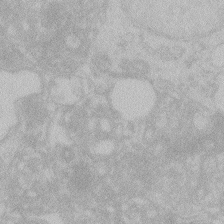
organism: Zebrafish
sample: Macrophage infected with Toxoplasma gondii